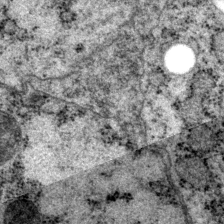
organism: P. pacificus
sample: Pharynx